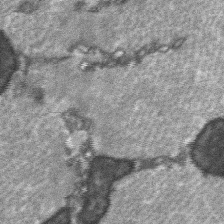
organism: C57BL Mouse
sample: Soleus